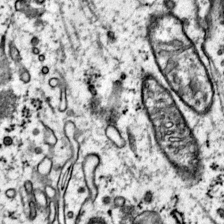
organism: Mouse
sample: Primary visual cortex